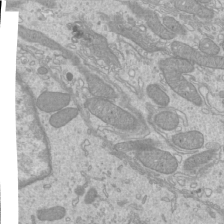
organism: Mouse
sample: Cilia; mouse epididymis